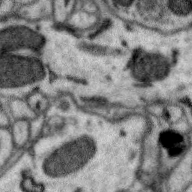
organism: Zebra finch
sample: Brain